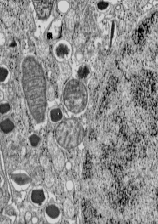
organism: C57BL Mouse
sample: Pancreatic islet